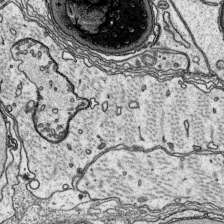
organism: Platynereis dumerilii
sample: Parapodia